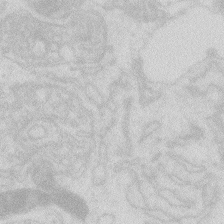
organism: Zebrafish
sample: Macrophage